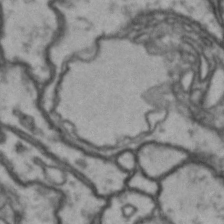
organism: Drosophila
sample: Brain